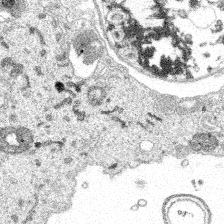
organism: Spongilla lacustris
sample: Multiple